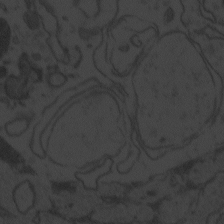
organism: Zebrafish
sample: Macrophage infected with Toxoplasma gondii